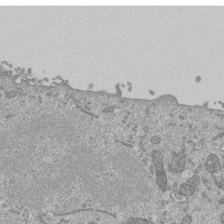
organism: Mouse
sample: ED-1 cell nuclei; centrioles